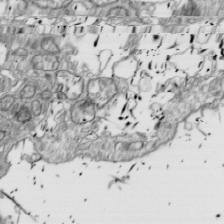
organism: Drosophila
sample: Cell division; meiosis; drosophila spermatocytes